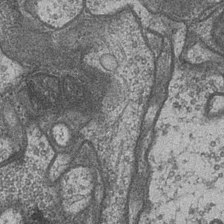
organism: Drosophila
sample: Optic medulla